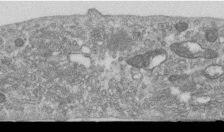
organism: Human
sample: Centriole in RPE cells